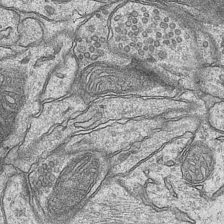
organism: Mouse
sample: CA1 Hippocampus